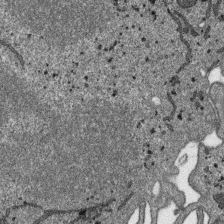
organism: Human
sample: Lung epithelial cells infected with SARS-CoV-2